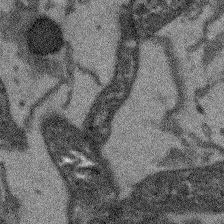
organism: Arabidopsis thaliana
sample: Root tip